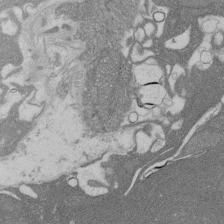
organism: Rat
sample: Salivary granule